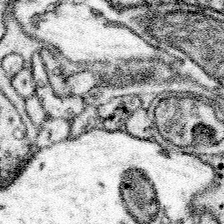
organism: Mouse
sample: Somatosensory cortex neuropil